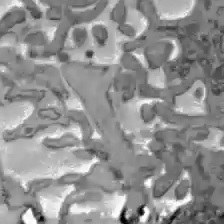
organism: C57BL Mouse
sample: Liver